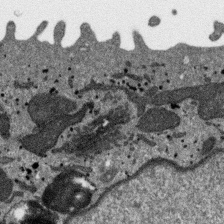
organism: Human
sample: Lung epithelial cells, uninfected (mock) control